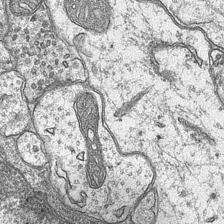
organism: Mouse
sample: CA1 Hippocampus